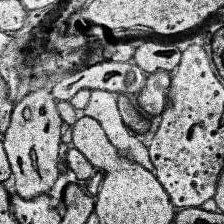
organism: Human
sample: Temporal Lobe